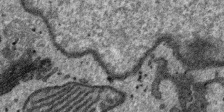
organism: Human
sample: Lung epithelial cells, uninfected (mock) control